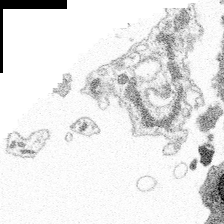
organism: Spongilla lacustris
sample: Multiple